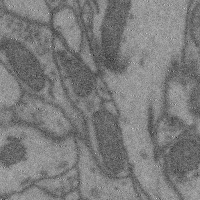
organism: Mouse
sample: Cerebral cortex